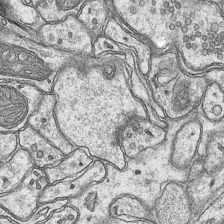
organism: Mouse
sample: CA1 Hippocampus